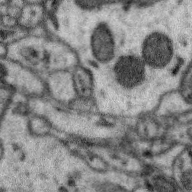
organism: Zebra finch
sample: Brain